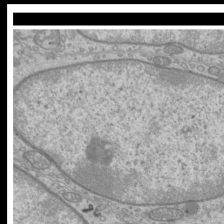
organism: Mouse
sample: Cilia; mouse epididymis